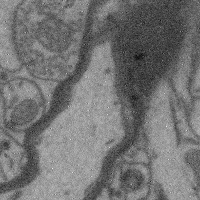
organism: Mouse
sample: Cerebral cortex